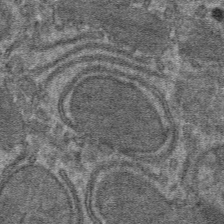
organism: Mouse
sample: Mouse hepatocytes